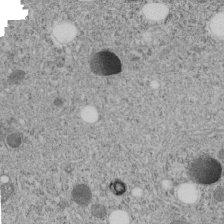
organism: C. elegans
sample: C. elegans embryo early stage